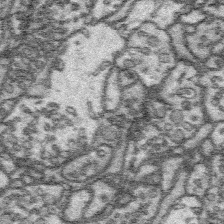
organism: Platynereis dumerilii